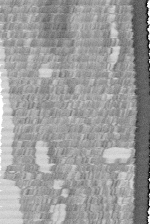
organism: Human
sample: Centriole in fibroblast cells